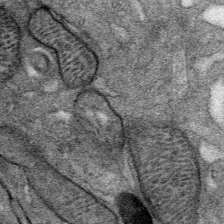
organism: Mouse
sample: Mouse Salivary gland